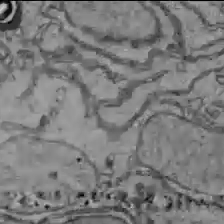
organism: C57BL Mouse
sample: Liver